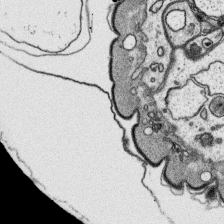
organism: Platynereis dumerilii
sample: Parapodia